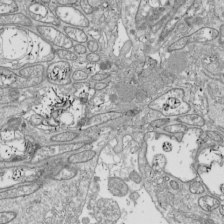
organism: Drosophila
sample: Cell division; meiosis; drosophila spermatocytes